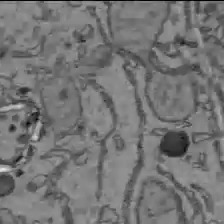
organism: C57BL Mouse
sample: Liver